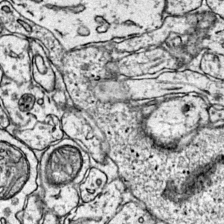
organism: Mouse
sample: Primary visual cortex